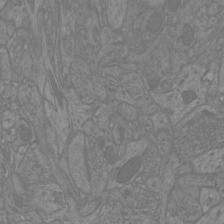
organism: Mouse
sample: Cortical neurons